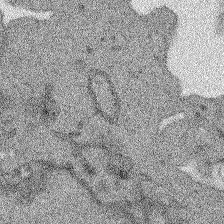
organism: Human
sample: HeLa cells